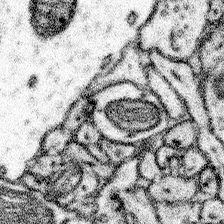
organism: Mouse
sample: Somatosensory cortex neuropil